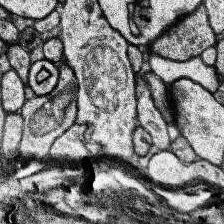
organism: Human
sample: Temporal Lobe